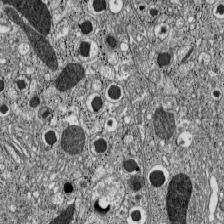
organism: C57BL Mouse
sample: Pancreatic islet